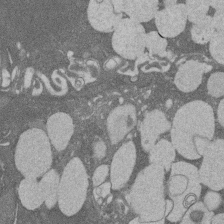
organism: Rat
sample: Salivary granule